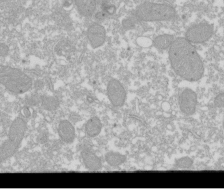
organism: Xenopus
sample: Cilia; centrioles in frog embryo cells